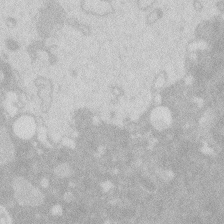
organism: Zebrafish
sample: Macrophage